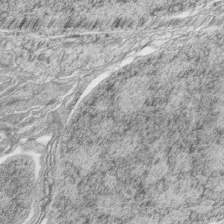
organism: Zebrafish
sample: synaptic ribbons in rod cells and cone cells